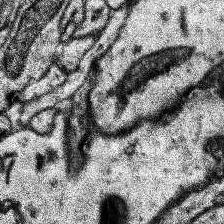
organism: Human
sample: Temporal Lobe